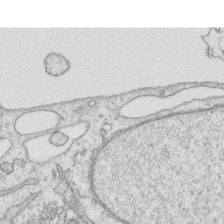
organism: Human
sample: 1205lu cells